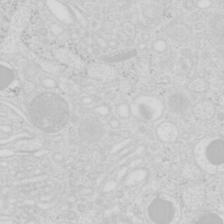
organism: Mouse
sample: Pancreas